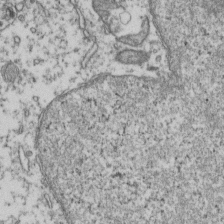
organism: Human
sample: Activated Jurkat CD4+ T cells